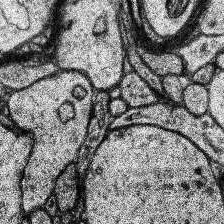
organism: Human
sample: Temporal Lobe